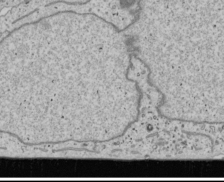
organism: Human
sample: Mitochondria in U2OS cells